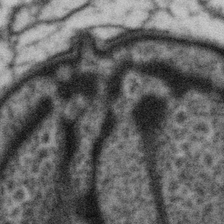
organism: Gemmata obscuriglobus